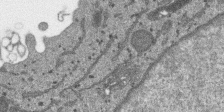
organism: Human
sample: Lung epithelial cells infected with SARS-CoV-2